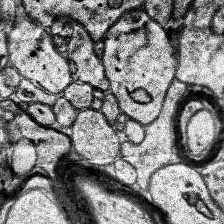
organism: Human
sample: Temporal Lobe